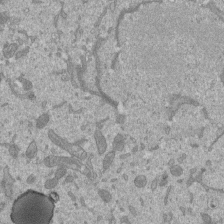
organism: Mouse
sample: ED-1 cell nuclei; centrioles